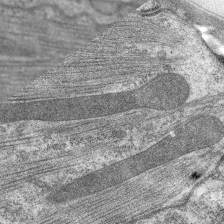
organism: C. elegans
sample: Pharynx